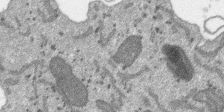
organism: Human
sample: Lung epithelial cells infected with SARS-CoV-2